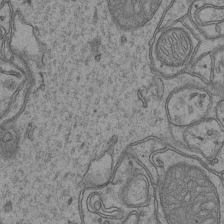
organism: Mouse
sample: CA1 Hippocampus